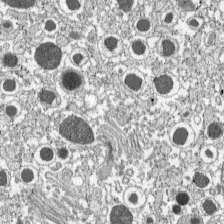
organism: C57BL Mouse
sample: Pancreatic islet